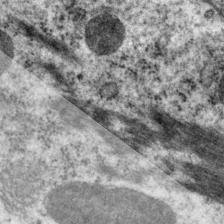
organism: P. pacificus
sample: Pharynx